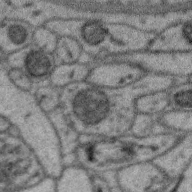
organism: Zebra finch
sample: Brain